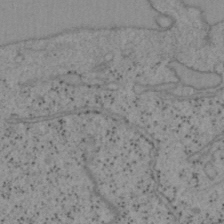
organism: Human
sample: HeLa cells